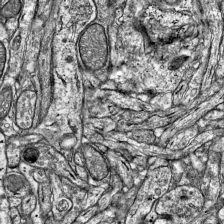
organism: Mouse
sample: Visual Cortex